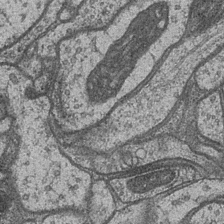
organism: Drosophila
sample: Optic medulla